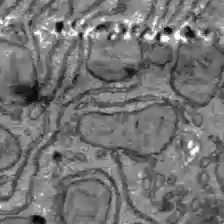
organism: C57BL Mouse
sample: Liver